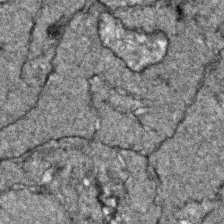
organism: Zebrafish